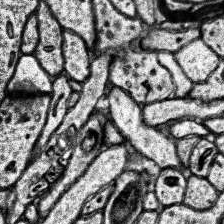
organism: Human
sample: Temporal Lobe